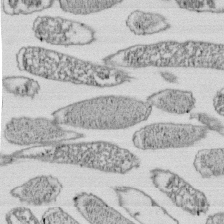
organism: E. coli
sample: Bacterial nucleoid